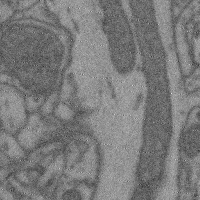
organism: Mouse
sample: Cerebral cortex